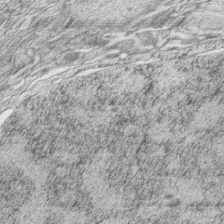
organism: Zebrafish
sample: synaptic ribbons in rod cells and cone cells